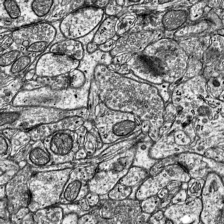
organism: Mouse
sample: Visual Cortex